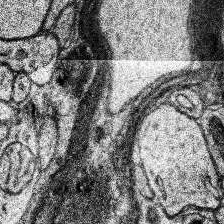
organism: Human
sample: Temporal Lobe